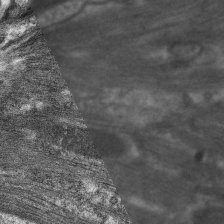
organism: C. elegans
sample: Pharynx